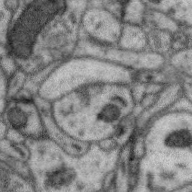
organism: Zebra finch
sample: Brain